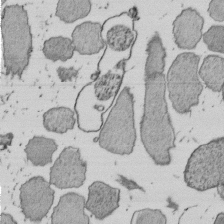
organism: E. coli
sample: Bacterial nucleoid